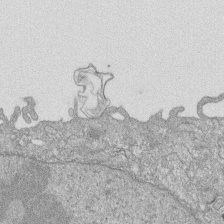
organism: Human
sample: HeLa cell HIV synapse